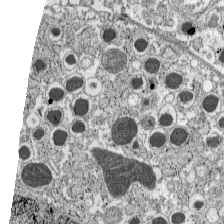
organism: C57BL Mouse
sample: Pancreatic islet